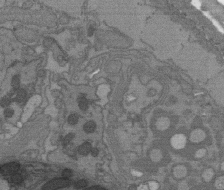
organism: C. elegans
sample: AFD neurons C. elegans